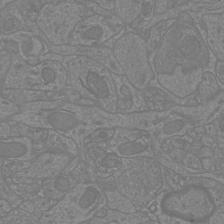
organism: Mouse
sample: Cortical neurons